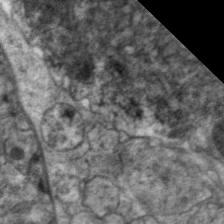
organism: C. elegans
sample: Pharynx